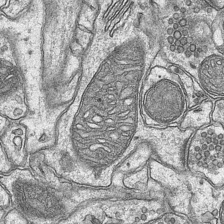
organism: Mouse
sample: CA1 Hippocampus